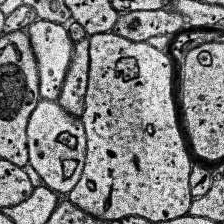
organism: Human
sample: Temporal Lobe